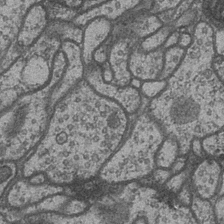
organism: Drosophila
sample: Optic medulla